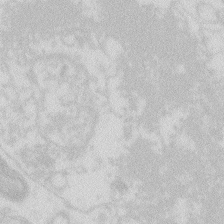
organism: Zebrafish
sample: Macrophage